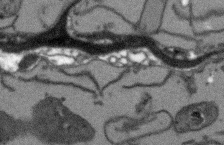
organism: Arabidopsis thaliana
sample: Root tip